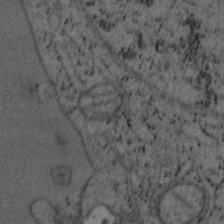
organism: Human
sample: HeLa cells